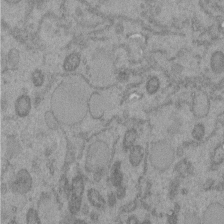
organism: C. elegans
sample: C. elegans embryo early stage